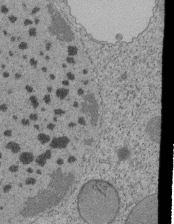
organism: Tetrahymena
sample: Cilia in tetrahymena